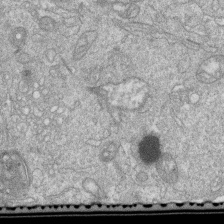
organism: Human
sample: HeLa cell HIV synapse